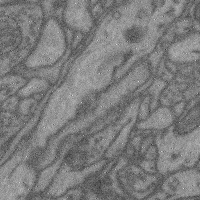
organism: Mouse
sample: Cerebral cortex